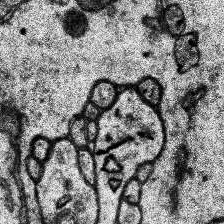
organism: Human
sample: Temporal Lobe